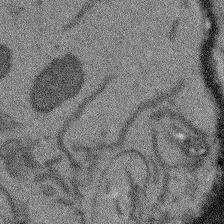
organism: Arabidopsis thaliana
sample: Root tip